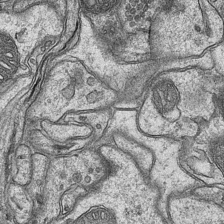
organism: Mouse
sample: CA1 Hippocampus